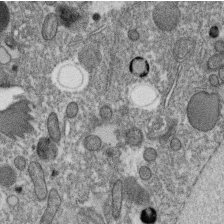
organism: C. elegans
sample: C. elegans oocyte; sperm cells